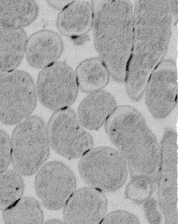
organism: E. coli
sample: Bacterial nucleoid